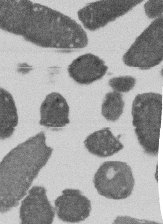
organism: E. coli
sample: Bacterial nucleoid